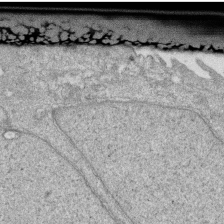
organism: Human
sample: HeLa cell HIV synapse